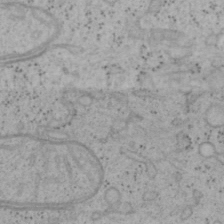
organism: Human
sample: HeLa cells